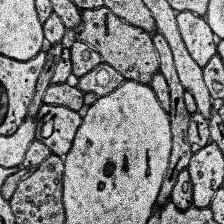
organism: Human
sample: Temporal Lobe